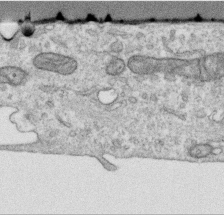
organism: Human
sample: Centriole in RPE cells